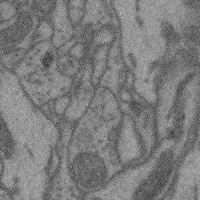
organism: Mouse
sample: Cerebral cortex